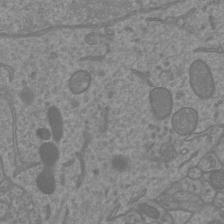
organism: Mouse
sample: Cortical neurons